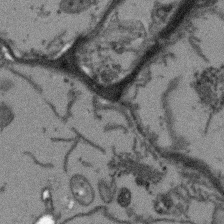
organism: Arabidopsis thaliana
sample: Root tip